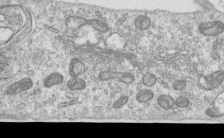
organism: Human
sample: Centriole in RPE cells